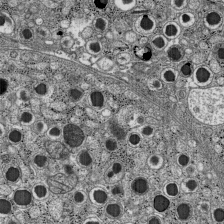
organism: C57BL Mouse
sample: Pancreatic islet